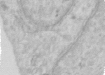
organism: Human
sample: Centriole in RPE cells